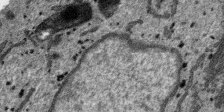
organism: Human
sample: Lung epithelial cells, uninfected (mock) control